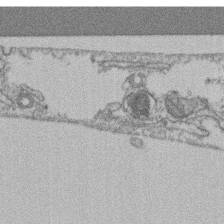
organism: Mouse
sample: T cell stromal cell synapse